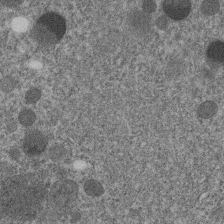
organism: C. elegans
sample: C. elegans embryo early stage